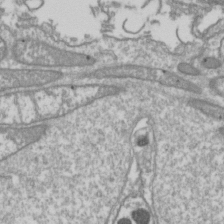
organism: Drosophila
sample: Cell division; meiosis; drosophila spermatocytes